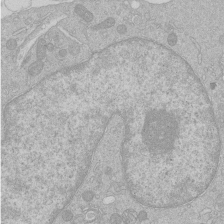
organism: Human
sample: Macrophage cells